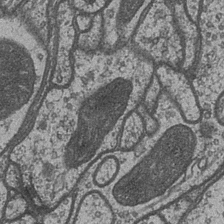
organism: Drosophila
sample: Optic medulla